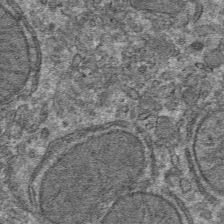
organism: Mouse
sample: Mouse hepatocytes